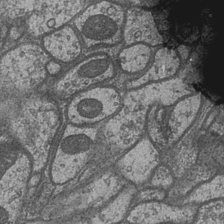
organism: Drosophila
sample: Optic medulla